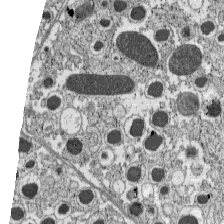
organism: C57BL Mouse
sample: Pancreatic islet